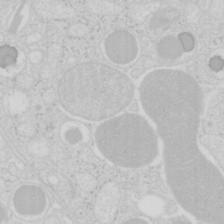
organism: Mouse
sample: Pancreas